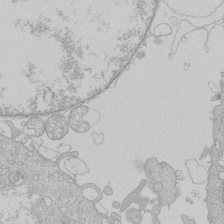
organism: Human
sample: Macrophage cells